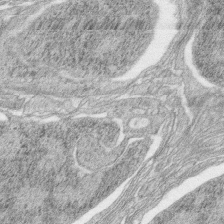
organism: Zebrafish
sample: synaptic ribbons in rod cells and cone cells